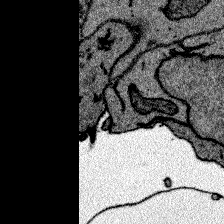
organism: Zebrafish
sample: Larval olfactory bulb